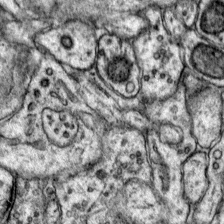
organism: Mouse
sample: Primary visual cortex